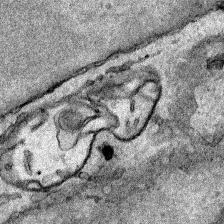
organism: Human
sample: Mitochondria in HCT116 cells